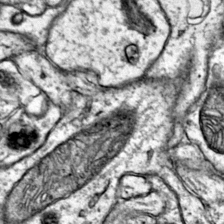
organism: Mouse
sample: Primary visual cortex